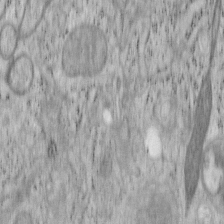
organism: Human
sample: HeLa cells